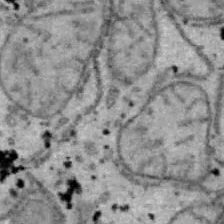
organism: Mouse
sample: Liver from an obese (ob/ob) mouse